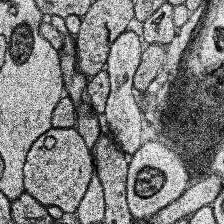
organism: Human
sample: Temporal Lobe